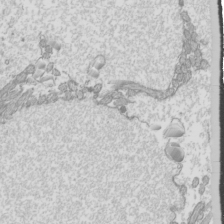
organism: Mouse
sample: Cilia; mouse epididymis